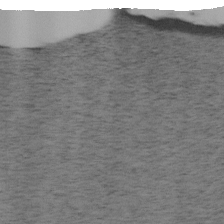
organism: Mouse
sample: OT-I killer T cells with ID8 ovarian cancer cells